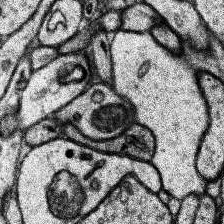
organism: Human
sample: Temporal Lobe